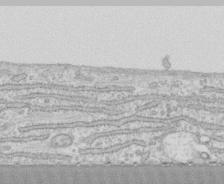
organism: Human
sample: CRL-1474